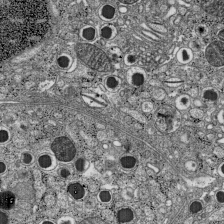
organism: C57BL Mouse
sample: Pancreatic islet